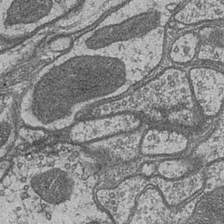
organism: Drosophila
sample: Optic medulla